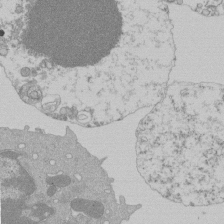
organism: Mouse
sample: Activated Pmel transgenic CD8+ T Cells